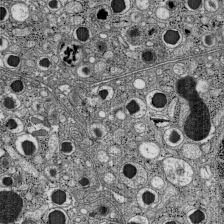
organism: C57BL Mouse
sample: Pancreatic islet